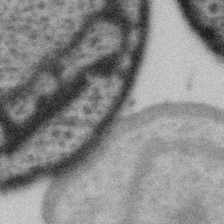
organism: Gemmata obscuriglobus